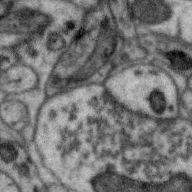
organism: Zebra finch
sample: Brain